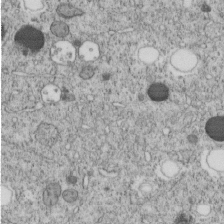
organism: C. elegans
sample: C. elegans embryo early stage